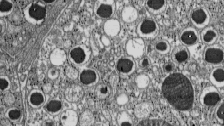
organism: C57BL Mouse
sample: Pancreatic islet